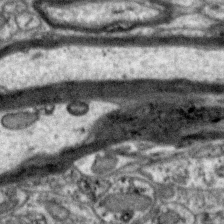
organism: Zebra finch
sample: Brain